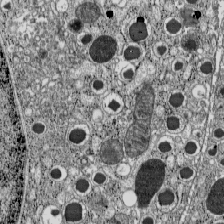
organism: C57BL Mouse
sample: Pancreatic islet